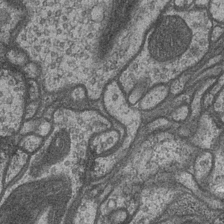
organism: Drosophila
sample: Optic medulla